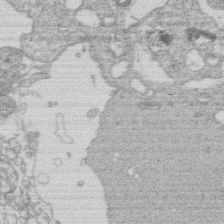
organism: Human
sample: Macrophage cells